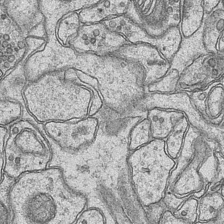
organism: Mouse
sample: CA1 Hippocampus